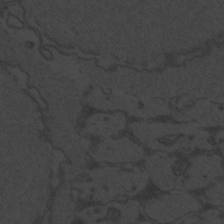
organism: Zebrafish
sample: Macrophage infected with Toxoplasma gondii